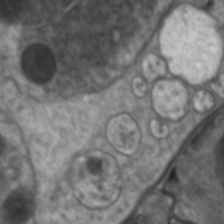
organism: C. elegans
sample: Pharynx